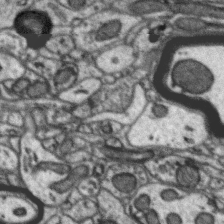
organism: Zebra finch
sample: Brain